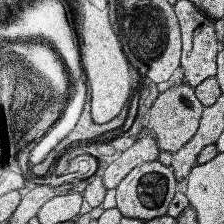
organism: Human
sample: Temporal Lobe